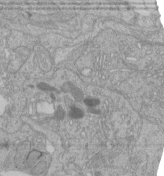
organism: Human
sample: Retinal organoid Rod and Cone cells